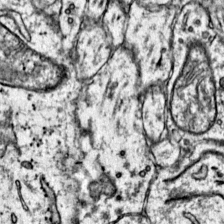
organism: Mouse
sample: Primary visual cortex